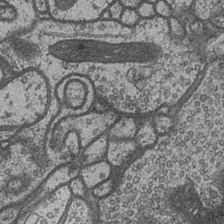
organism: Drosophila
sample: Optic medulla